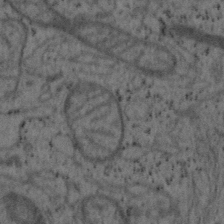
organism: Human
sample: HeLa cells